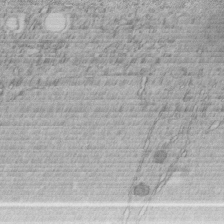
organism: C. elegans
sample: C. elegans embryo early stage